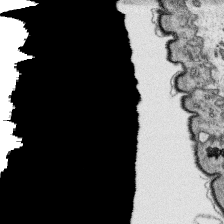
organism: Platynereis dumerilii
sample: Parapodia